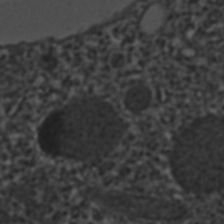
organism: C. elegans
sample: C. elegans embryo